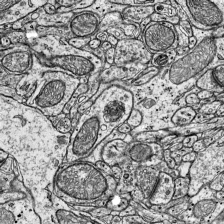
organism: Mouse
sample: Visual Cortex